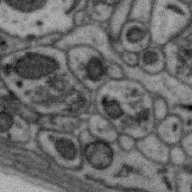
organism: Zebra finch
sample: Brain